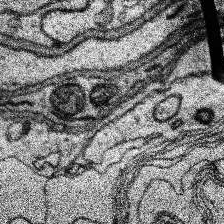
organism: Human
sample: Temporal Lobe